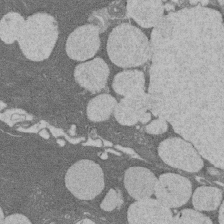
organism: Rat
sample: Salivary granule